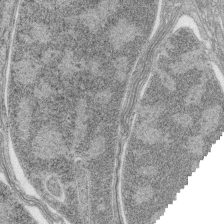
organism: Zebrafish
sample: synaptic ribbons in rod cells and cone cells